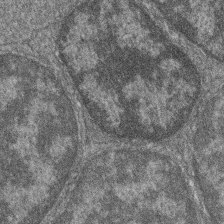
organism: Zebrafish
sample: Cilia; retinal pigment epithelium